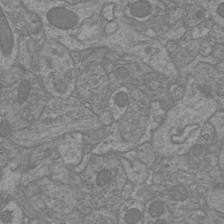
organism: Mouse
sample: Cortical neurons